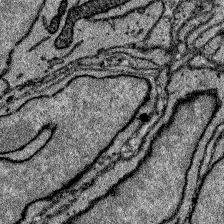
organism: Zebrafish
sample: Larval olfactory bulb